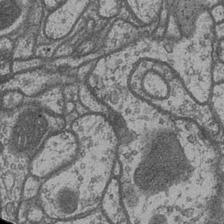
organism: Drosophila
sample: Optic medulla